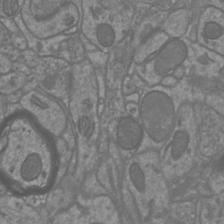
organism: Mouse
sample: Cortical neurons